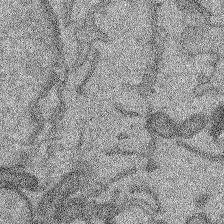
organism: Human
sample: HeLa cells